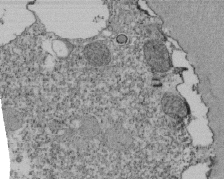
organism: Tetrahymena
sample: Cilia in tetrahymena